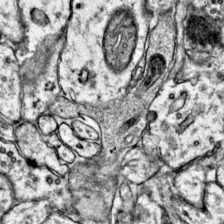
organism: Mouse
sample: Primary visual cortex